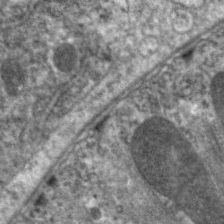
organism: C. elegans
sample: Pharynx